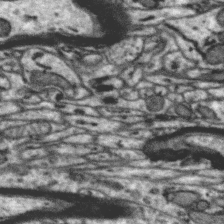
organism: Zebra finch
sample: Brain